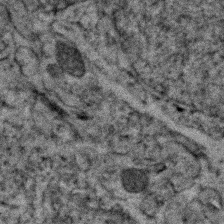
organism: Zebrafish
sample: Zebrafish embryo